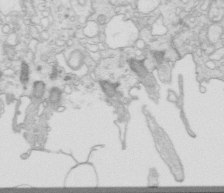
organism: Mouse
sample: Multiciliated cells